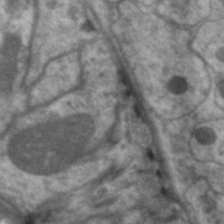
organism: C. elegans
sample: Pharynx